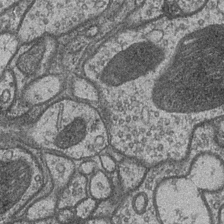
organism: Drosophila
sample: Optic medulla